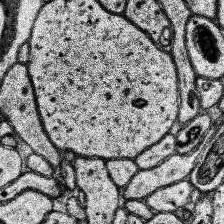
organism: Human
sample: Temporal Lobe